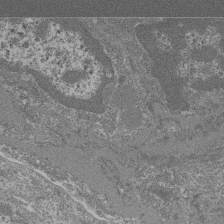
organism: Mouse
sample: Glomerulus